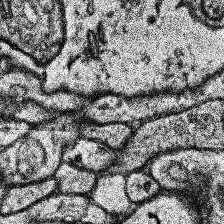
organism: Human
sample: Temporal Lobe